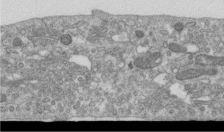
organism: Human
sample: Centriole in RPE cells